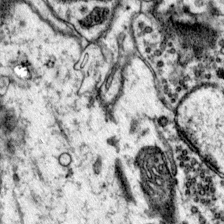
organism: Mouse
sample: Primary visual cortex